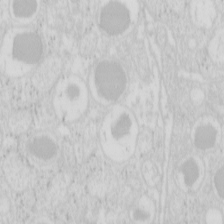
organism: Mouse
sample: Pancreas